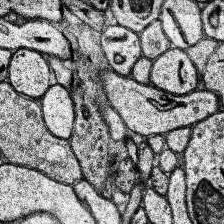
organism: Human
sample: Temporal Lobe